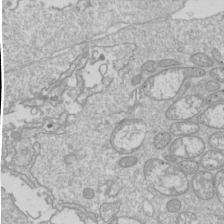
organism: Drosophila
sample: Cell division; meiosis; drosophila spermatocytes